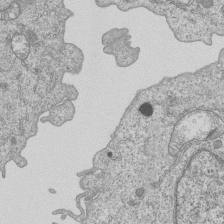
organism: Human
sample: MDA-MB-231 cells